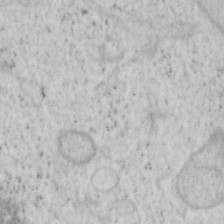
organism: Human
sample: HeLa cells